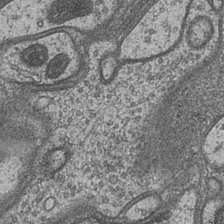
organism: Drosophila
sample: Optic medulla